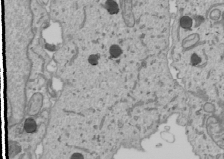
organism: Human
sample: Mitochondria in U2OS cells